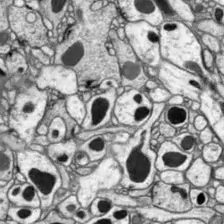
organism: Drosophila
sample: Optic lobe